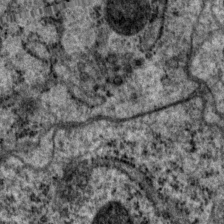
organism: P. pacificus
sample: Pharynx